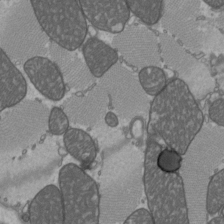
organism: C57BL Mouse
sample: Heart